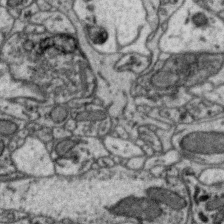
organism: Zebra finch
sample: Brain